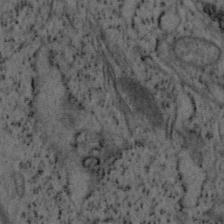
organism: Human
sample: HeLa cells